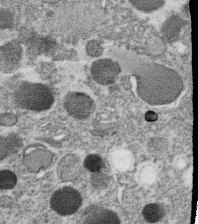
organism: C. elegans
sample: C. elegans oocyte; sperm cells